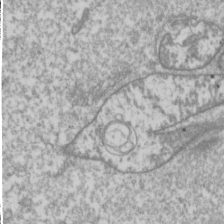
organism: Drosophila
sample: Cell division; meiosis; drosophila spermatocytes